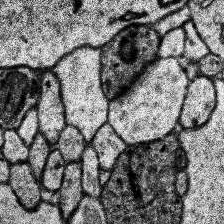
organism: Human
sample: Temporal Lobe